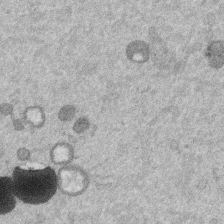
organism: Mouse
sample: Dividing mouse embryo 1 cell stage